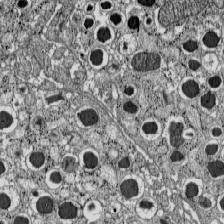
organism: C57BL Mouse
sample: Pancreatic islet